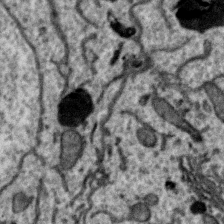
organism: Zebra finch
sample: Brain